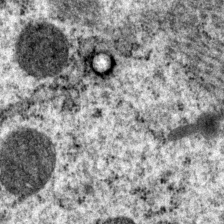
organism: P. pacificus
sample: Pharynx